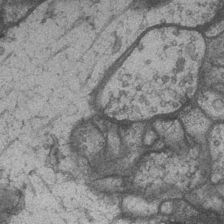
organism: Drosophila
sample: Optic medulla